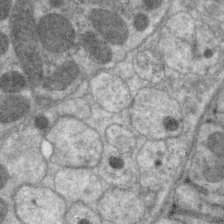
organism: C. elegans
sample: Pharynx